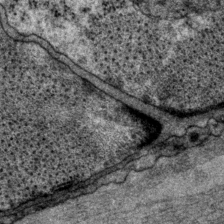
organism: P. pacificus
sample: Pharynx